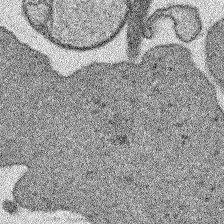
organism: Human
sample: HeLa cells